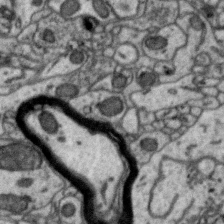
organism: Zebra finch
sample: Brain